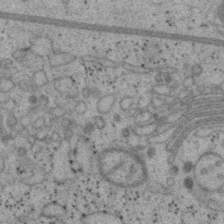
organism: Human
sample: HeLa cells